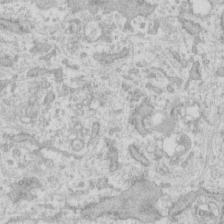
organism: Human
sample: Fibroblast cells